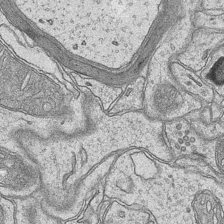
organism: Mouse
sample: CA1 Hippocampus